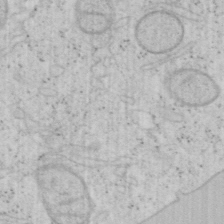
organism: Human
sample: HeLa cells